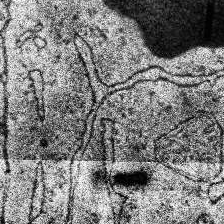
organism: Human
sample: Temporal Lobe